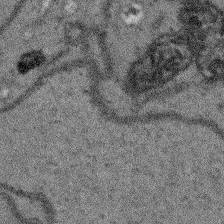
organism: Arabidopsis thaliana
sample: Root tip